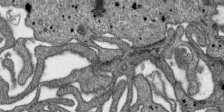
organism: Human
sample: Lung epithelial cells, uninfected (mock) control